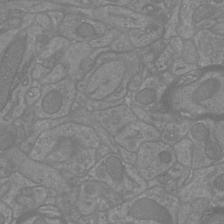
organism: Mouse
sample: Cortical neurons